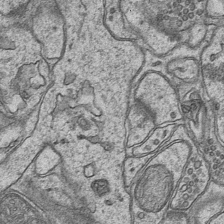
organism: Mouse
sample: CA1 Hippocampus